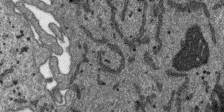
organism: Human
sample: Lung epithelial cells infected with SARS-CoV-2